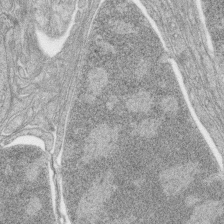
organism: Zebrafish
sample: synaptic ribbons in rod cells and cone cells